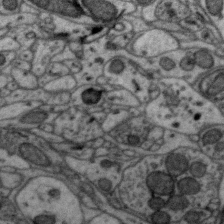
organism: Zebra finch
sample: Brain